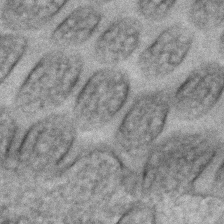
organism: C. elegans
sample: C. elegans embryo